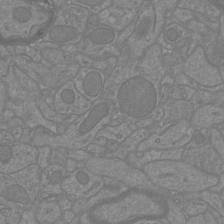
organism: Mouse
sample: Cortical neurons